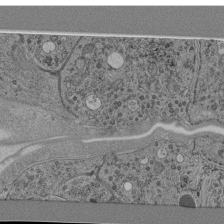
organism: C. elegans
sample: C. elegans pharynx